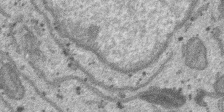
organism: Human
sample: Lung epithelial cells infected with SARS-CoV-2